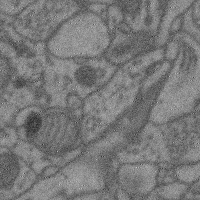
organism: Mouse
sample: Cerebral cortex